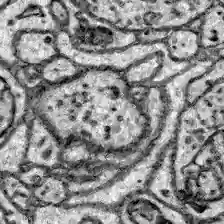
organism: Zebrafish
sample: Brain